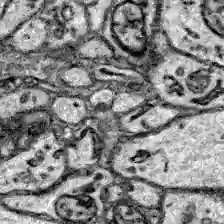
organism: Zebrafish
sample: Brain